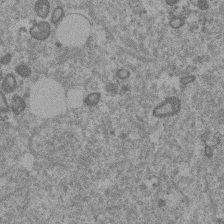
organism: Mouse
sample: Dividing mouse embryo 1 cell stage